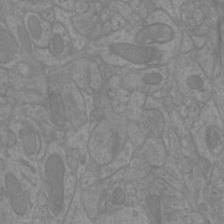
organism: Mouse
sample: Cortical neurons